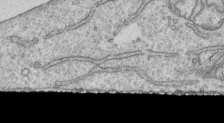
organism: Human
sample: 1205lu cells